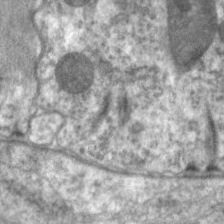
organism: C. elegans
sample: Pharynx